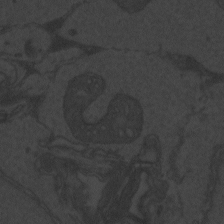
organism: Zebrafish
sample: Macrophage infected with Toxoplasma gondii